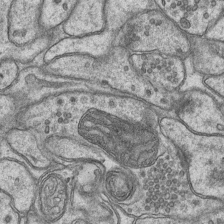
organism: Mouse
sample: CA1 Hippocampus